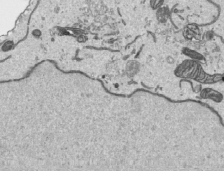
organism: Human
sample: Mitochondria in HCT116 cells